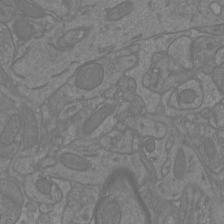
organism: Mouse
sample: Cortical neurons